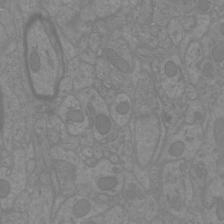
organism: Mouse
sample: Cortical neurons